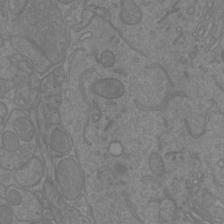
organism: Mouse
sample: Cortical neurons